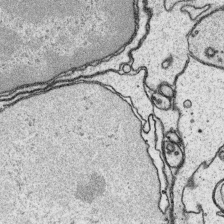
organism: Platynereis dumerilii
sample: Parapodia